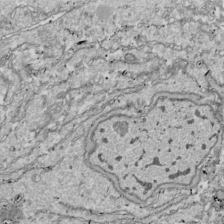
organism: Drosophila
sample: Cell division; meiosis; drosophila spermatocytes